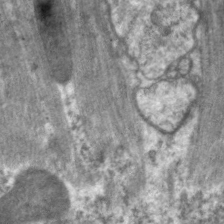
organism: C. elegans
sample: Pharynx